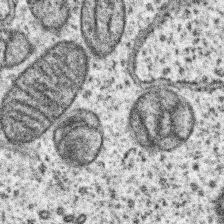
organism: Human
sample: HeLa cells